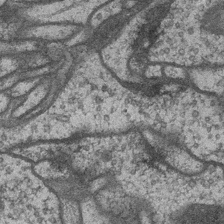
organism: Drosophila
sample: Optic medulla